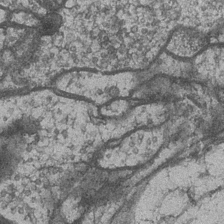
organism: Drosophila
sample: Optic medulla